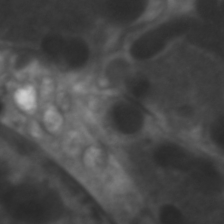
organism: C. elegans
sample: Pharynx